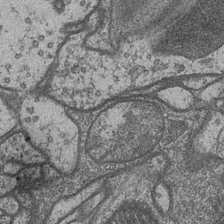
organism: Drosophila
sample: Optic medulla